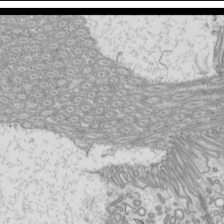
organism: Mouse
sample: Cilia; mouse epididymis